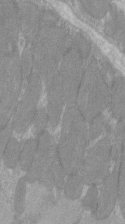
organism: C57BL Mouse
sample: Tibialis anterior muscle cell